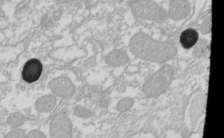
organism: Xenopus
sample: Cilia; centrioles in frog embryo cells